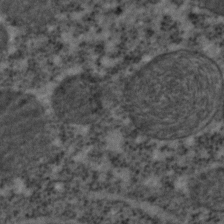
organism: C. elegans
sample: C. elegans embryo